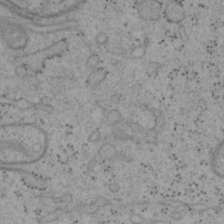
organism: Human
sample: HeLa cells